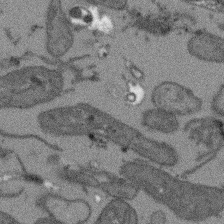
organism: Arabidopsis thaliana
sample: Root tip